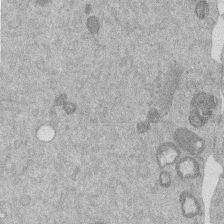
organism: Mouse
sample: Dividing mouse embryo 1 cell stage